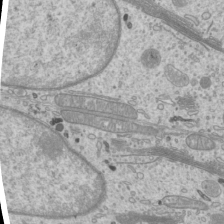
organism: Mouse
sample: Cilia; mouse epididymis